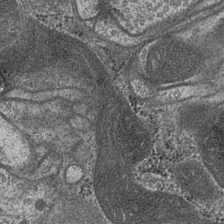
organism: Drosophila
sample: Optic medulla